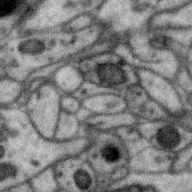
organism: Zebra finch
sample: Brain